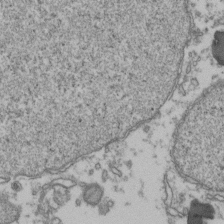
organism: Human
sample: Activated Jurkat CD4+ T cells